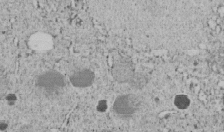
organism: C. elegans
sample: C. elegans embryo early stage